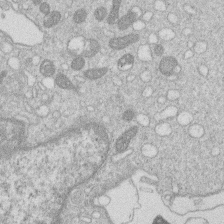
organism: Human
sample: Macrophage cells